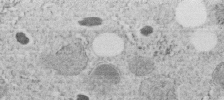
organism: C. elegans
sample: C. elegans embryo early stage